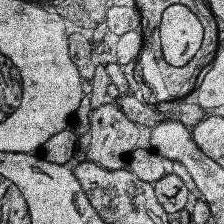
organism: Human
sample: Temporal Lobe